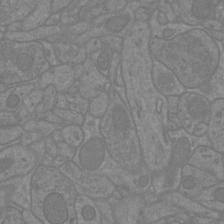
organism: Mouse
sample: Cortical neurons